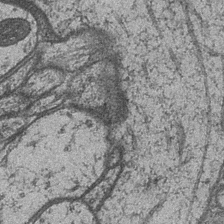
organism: Drosophila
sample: Optic medulla